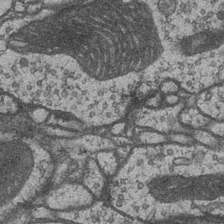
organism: Drosophila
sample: Optic medulla